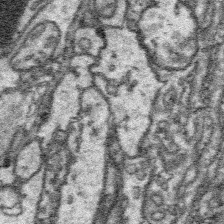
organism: Platynereis dumerilii